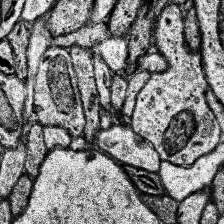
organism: Human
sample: Temporal Lobe